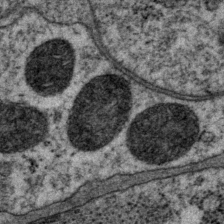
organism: P. pacificus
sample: Pharynx